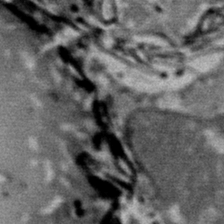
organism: Mouse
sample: Mouse Salivary gland